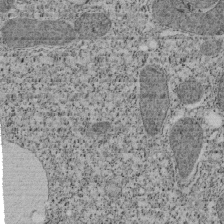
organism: Tetrahymena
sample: Cilia in tetrahymena